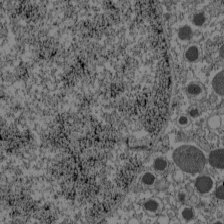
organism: C57BL Mouse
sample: Pancreatic islet